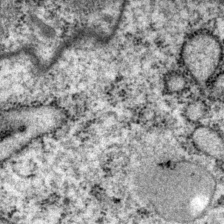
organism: P. pacificus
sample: Pharynx